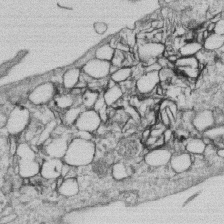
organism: Human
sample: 1205lu cells